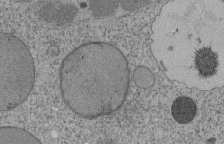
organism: Tetrahymena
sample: Cilia in tetrahymena